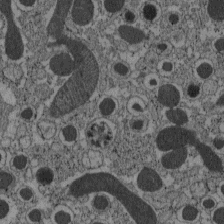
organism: C57BL Mouse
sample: Pancreatic islet